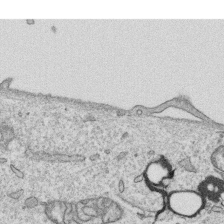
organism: Human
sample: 1205lu cells